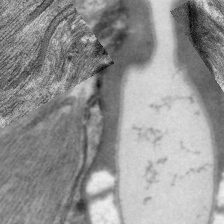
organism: C. elegans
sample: Pharynx